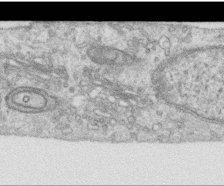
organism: Human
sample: Centriole in RPE cells